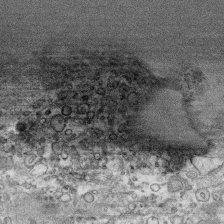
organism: Human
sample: CRL-1474